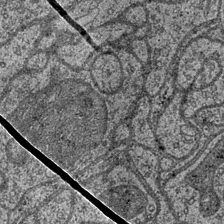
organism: Drosophila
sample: Optic medulla